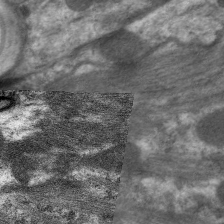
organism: C. elegans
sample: Pharynx